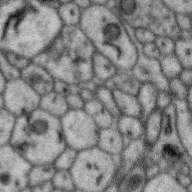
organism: Zebra finch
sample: Brain